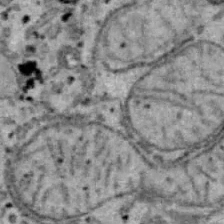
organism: Mouse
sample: Liver from an obese (ob/ob) mouse